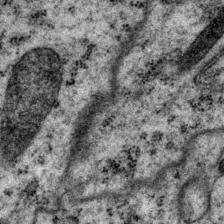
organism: P. pacificus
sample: Pharynx